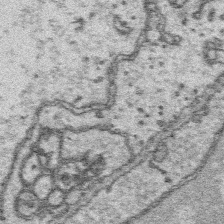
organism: Platynereis dumerilii